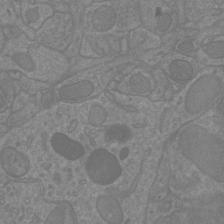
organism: Mouse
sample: Cortical neurons